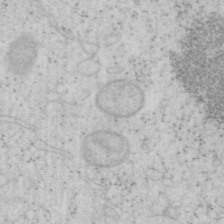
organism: Human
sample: HeLa cells